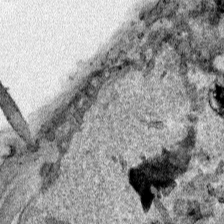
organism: Human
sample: Mitochondria in HCT116 cells